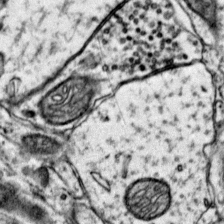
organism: Mouse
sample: Primary visual cortex